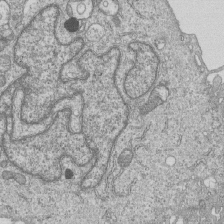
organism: Human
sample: MDA-MB-231 cells